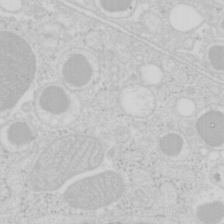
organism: Mouse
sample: Pancreas